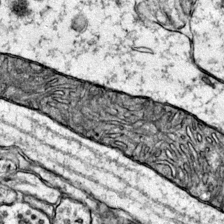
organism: Mouse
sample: Primary visual cortex